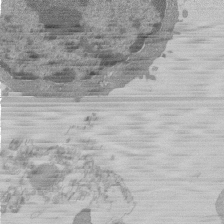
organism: Mouse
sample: Activated Pmel transgenic CD8+ T Cells